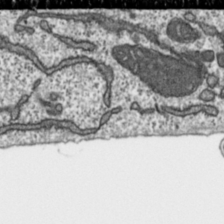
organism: Toxoplasma gondii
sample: Parasites in a vacuole inside a host cell